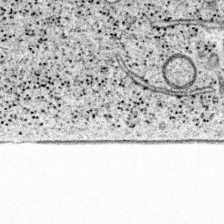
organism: Human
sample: HeLa cells